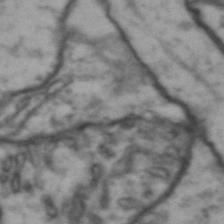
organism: Drosophila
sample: Brain